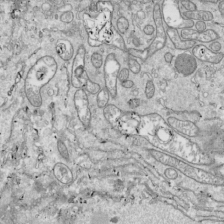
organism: Drosophila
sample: Cell division; meiosis; drosophila spermatocytes